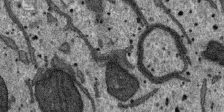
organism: Human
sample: Lung epithelial cells, uninfected (mock) control